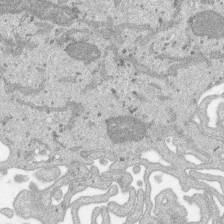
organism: Human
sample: Lung epithelial cells infected with SARS-CoV-2